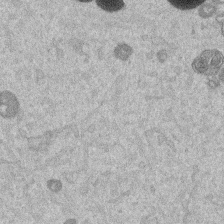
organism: Mouse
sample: Dividing mouse embryo 1 cell stage